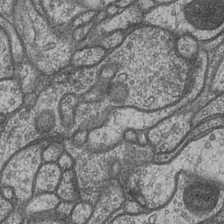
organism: Drosophila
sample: Optic medulla